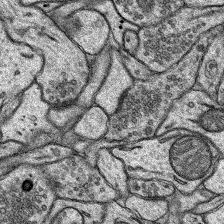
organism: Rat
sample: Hippocampus